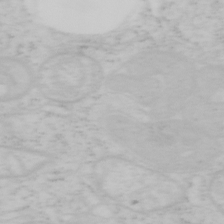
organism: Mouse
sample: OT-I killer T cells with ID8 ovarian cancer cells